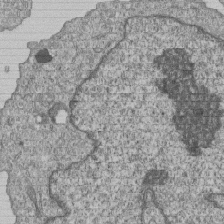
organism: Human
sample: MDA-MB-231 cells